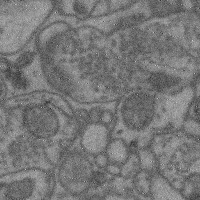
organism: Mouse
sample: Cerebral cortex